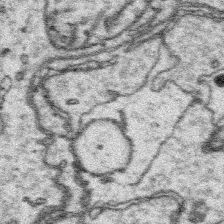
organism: Platynereis dumerilii